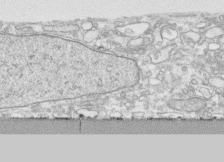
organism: Human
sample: CRL-1474